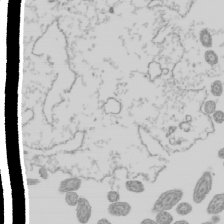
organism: Mouse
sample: Cilia; mouse epididymis